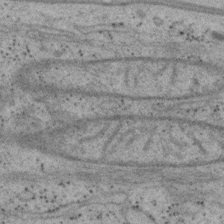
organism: Human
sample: HeLa cells